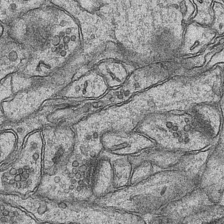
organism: Mouse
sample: CA1 Hippocampus